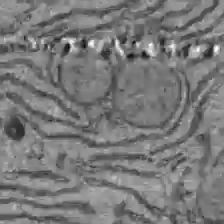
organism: C57BL Mouse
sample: Liver